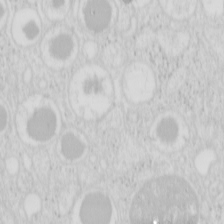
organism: Mouse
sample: Pancreas